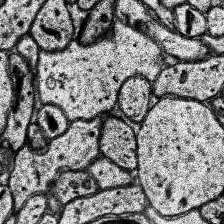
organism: Human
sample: Temporal Lobe